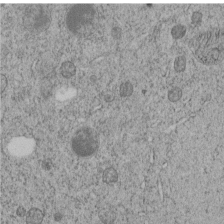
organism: C. elegans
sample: C. elegans embryo early stage